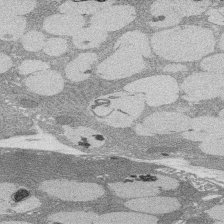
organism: Rat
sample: Salivary granule